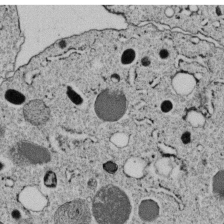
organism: C. elegans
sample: C. elegans embryo early stage